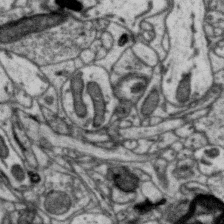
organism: Zebra finch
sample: Brain